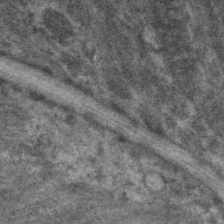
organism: C. elegans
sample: Pharynx